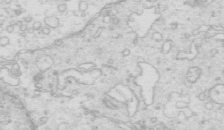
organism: Mouse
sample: Multiciliated cells